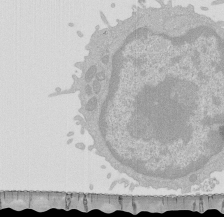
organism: Mouse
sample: Activated Pmel transgenic CD8+ T Cells